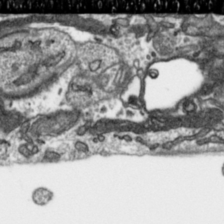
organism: Toxoplasma gondii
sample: Parasites in a vacuole inside a host cell